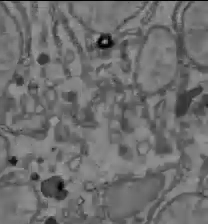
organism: C57BL Mouse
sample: Liver